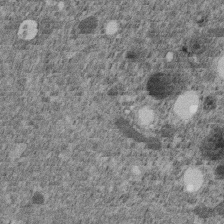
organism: C. elegans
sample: C. elegans embryo early stage